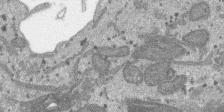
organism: Human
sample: Lung epithelial cells infected with SARS-CoV-2